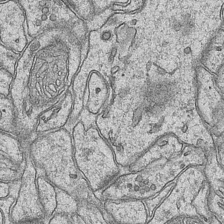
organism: Mouse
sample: CA1 Hippocampus